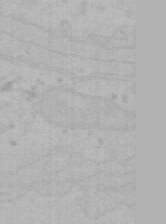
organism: Mouse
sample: Choroid plexus